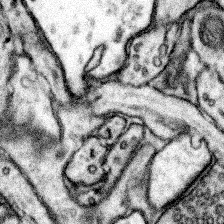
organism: Mouse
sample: Somatosensory cortex neuropil